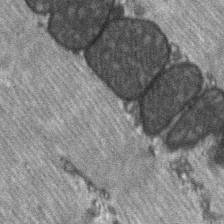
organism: C57BL Mouse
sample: Soleus